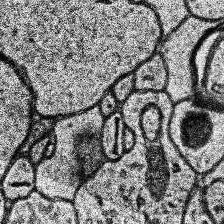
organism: Human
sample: Temporal Lobe